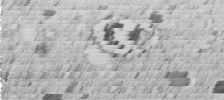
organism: C. elegans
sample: C. elegans embryo early stage